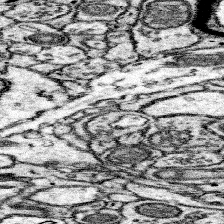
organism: Mouse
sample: Somatosensory cortex neuropil